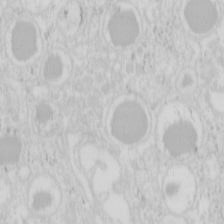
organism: Mouse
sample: Pancreas